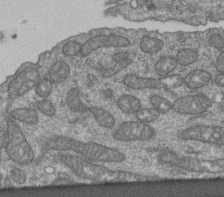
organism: Human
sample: Retinal organoid Rod and Cone cells